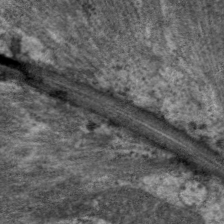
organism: C. elegans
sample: Pharynx